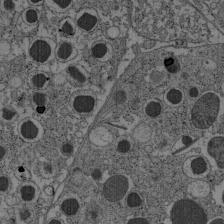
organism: C57BL Mouse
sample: Pancreatic islet